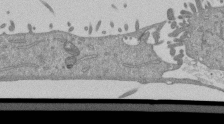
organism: Mouse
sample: ED-1 cell nuclei; centrioles